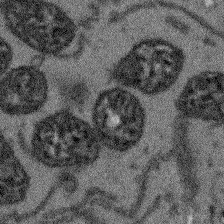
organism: Arabidopsis thaliana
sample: Root tip